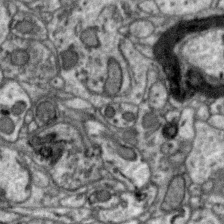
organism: Zebra finch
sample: Brain